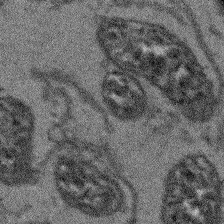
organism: Arabidopsis thaliana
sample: Root tip